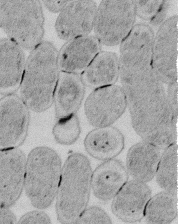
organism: E. coli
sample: Bacterial nucleoid